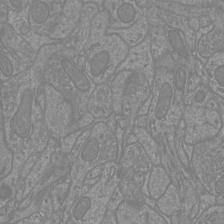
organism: Mouse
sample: Cortical neurons